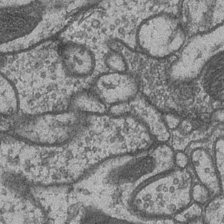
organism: Drosophila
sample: Optic medulla